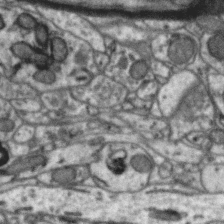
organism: Zebra finch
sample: Brain